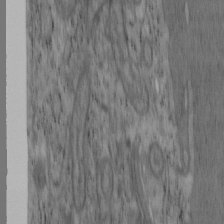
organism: Human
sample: HeLa cells